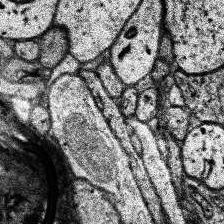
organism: Human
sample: Temporal Lobe